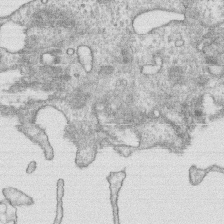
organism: Human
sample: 1205lu cells